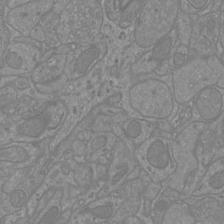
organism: Mouse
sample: Cortical neurons